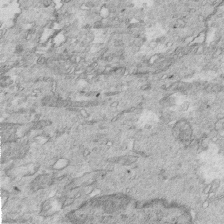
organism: Mouse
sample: Multiciliated cells